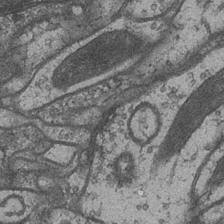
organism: Drosophila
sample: Optic medulla